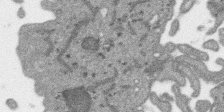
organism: Human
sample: Lung epithelial cells infected with SARS-CoV-2